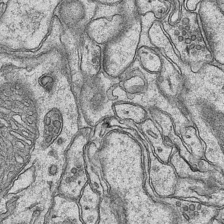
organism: Mouse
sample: CA1 Hippocampus